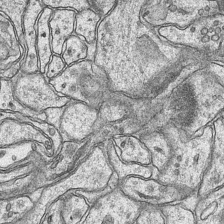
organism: Mouse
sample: CA1 Hippocampus